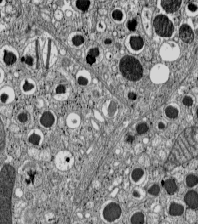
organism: C57BL Mouse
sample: Pancreatic islet